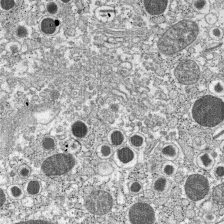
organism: C57BL Mouse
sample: Pancreatic islet